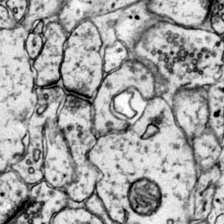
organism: Mouse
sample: Primary visual cortex